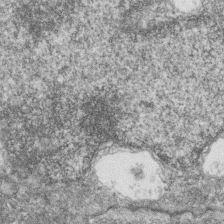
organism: Zebrafish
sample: Cilia; retinal pigment epithelium